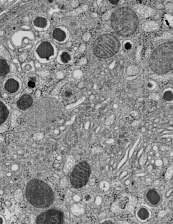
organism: C57BL Mouse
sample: Pancreatic islet